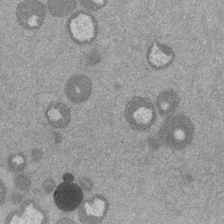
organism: Mouse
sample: Dividing mouse embryo 1 cell stage